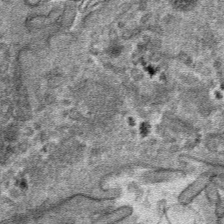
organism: Mouse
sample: Mouse hepatocytes